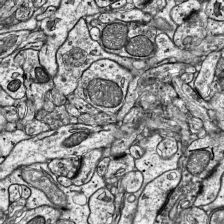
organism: Mouse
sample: Visual Cortex